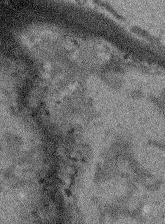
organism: Arabidopsis thaliana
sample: Root tip